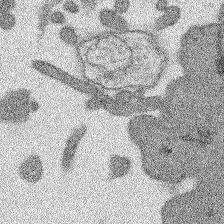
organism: Human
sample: HeLa cells